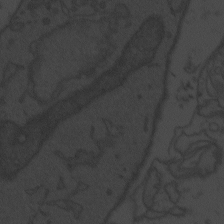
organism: Zebrafish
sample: Macrophage infected with Toxoplasma gondii